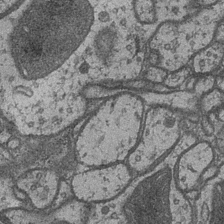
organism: Drosophila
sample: Optic medulla